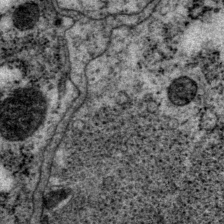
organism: P. pacificus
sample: Pharynx